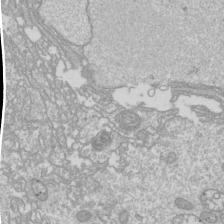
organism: Drosophila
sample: Cell division; meiosis; drosophila spermatocytes